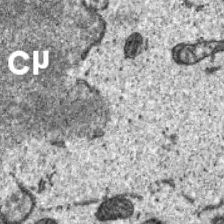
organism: Human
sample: HeLa cells